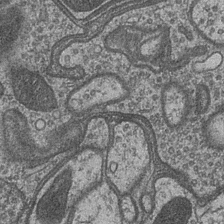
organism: Drosophila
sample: Optic medulla